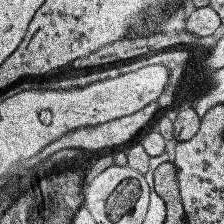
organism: Human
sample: Temporal Lobe